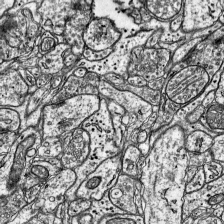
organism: Mouse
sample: Visual Cortex